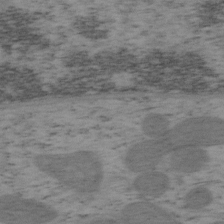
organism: Mouse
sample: OT-I killer T cells with ID8 ovarian cancer cells